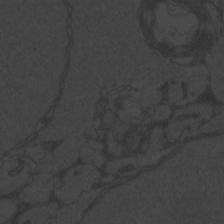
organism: Zebrafish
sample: Macrophage infected with Toxoplasma gondii